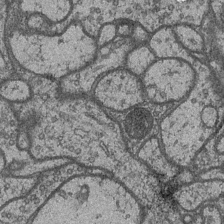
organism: Drosophila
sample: Optic medulla